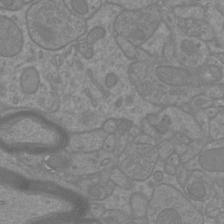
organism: Mouse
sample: Cortical neurons